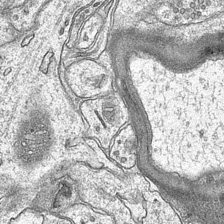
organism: Mouse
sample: CA1 Hippocampus